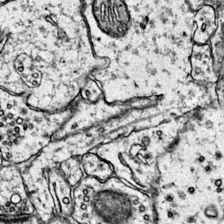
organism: Mouse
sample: Primary visual cortex